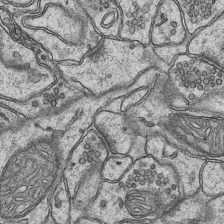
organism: Mouse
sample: CA1 Hippocampus